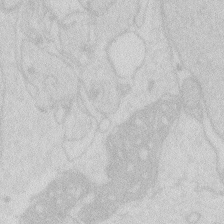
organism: Zebrafish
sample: Macrophage